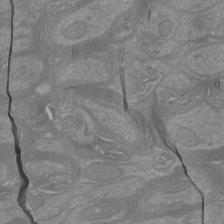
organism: Mouse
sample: Cortical neurons